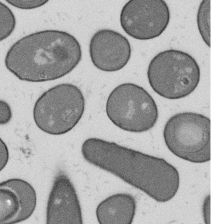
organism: B. subtilis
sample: Bacterial spore